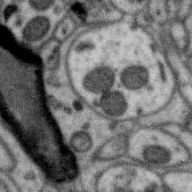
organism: Zebra finch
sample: Brain